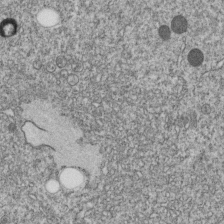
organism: C. elegans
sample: C. elegans embryo early stage